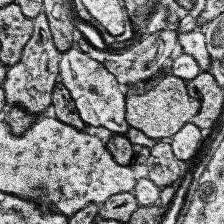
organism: Human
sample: Temporal Lobe